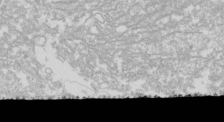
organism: Drosophila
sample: Cell division; meiosis; drosophila spermatocytes